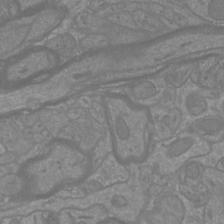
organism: Mouse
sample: Cortical neurons